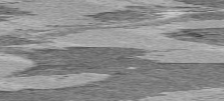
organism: C57BL Mouse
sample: Heart